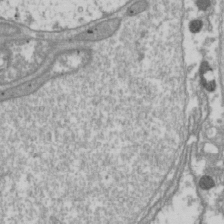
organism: Drosophila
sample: Cell division; meiosis; drosophila spermatocytes